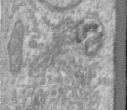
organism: Human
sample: Centriole in RPE cells